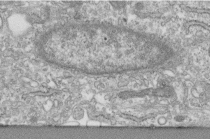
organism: Human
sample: Centriole in fibroblast cells